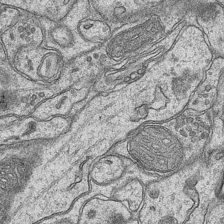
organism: Mouse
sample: CA1 Hippocampus